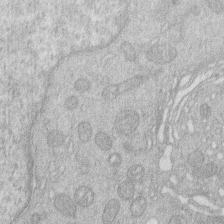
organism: Human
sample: Macrophage cells